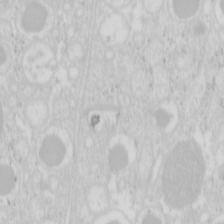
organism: Mouse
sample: Pancreas